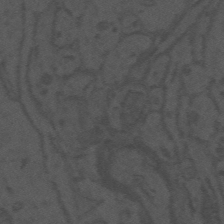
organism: Mouse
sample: Suprachiasmatic nucleus